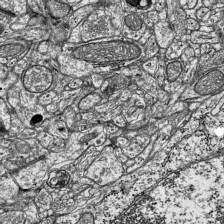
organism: Mouse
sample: Visual Cortex